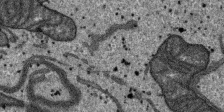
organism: Human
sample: Lung epithelial cells, uninfected (mock) control